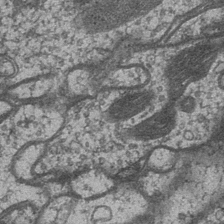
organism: Drosophila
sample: Optic medulla